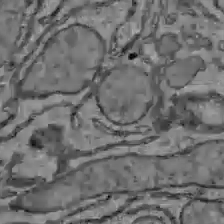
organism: C57BL Mouse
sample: Liver